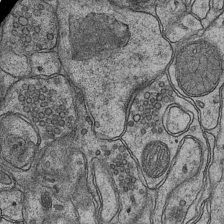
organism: Mouse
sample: CA1 Hippocampus